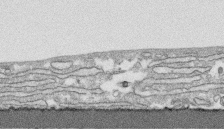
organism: Human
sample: CRL-1474